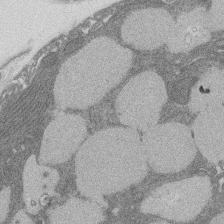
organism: Rat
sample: Salivary granule